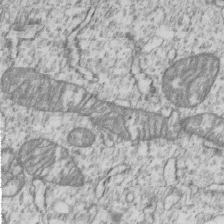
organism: Human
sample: MDA-MB-231 cells